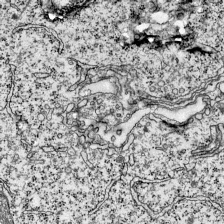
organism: Mouse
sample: Visual Cortex